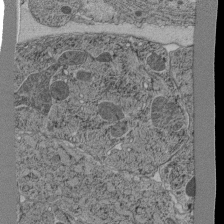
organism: C. elegans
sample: C. elegans pharynx